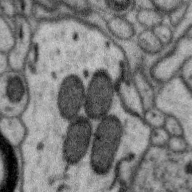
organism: Zebra finch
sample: Brain